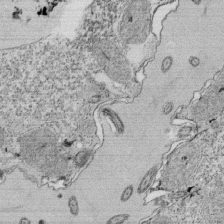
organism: Tetrahymena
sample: Cilia in tetrahymena